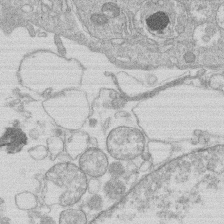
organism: Human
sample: Macrophage cells